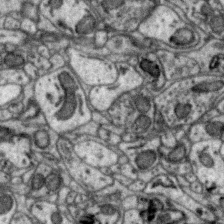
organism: Zebra finch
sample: Brain